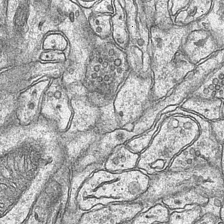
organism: Mouse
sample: CA1 Hippocampus